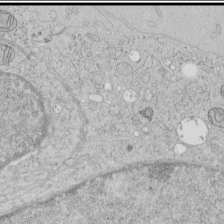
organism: Human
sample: Mitochondria in HCT116 cells